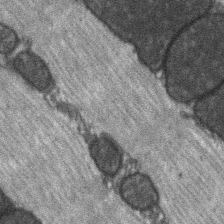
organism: C57BL Mouse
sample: Soleus